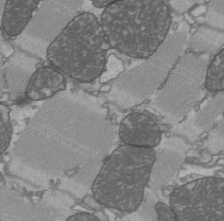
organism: C57BL Mouse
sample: Heart